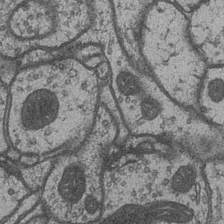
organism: Drosophila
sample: Optic medulla